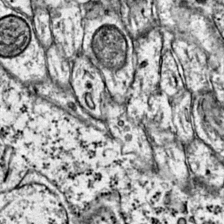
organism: Mouse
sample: Primary visual cortex